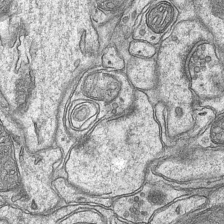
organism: Mouse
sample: CA1 Hippocampus